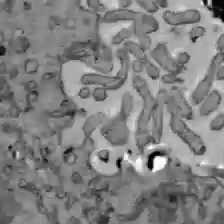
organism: C57BL Mouse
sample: Liver